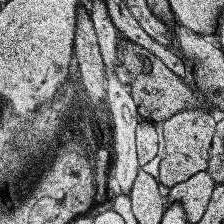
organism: Human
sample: Temporal Lobe